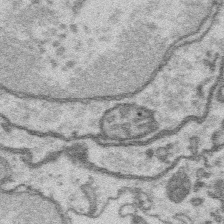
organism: Platynereis dumerilii